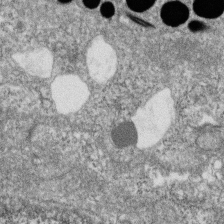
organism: Zebrafish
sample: Cilia; retinal pigment epithelium